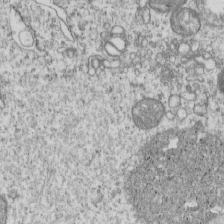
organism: Human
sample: MDA-MB-231 cells